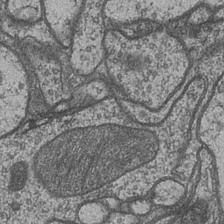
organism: Drosophila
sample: Optic medulla